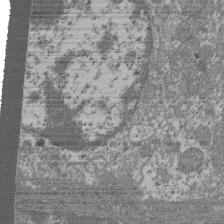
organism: Mouse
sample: Glomerulus